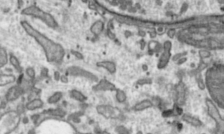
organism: Toxoplasma gondii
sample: Parasites in a vacuole inside a host cell